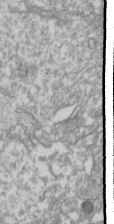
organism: Drosophila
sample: Cell division; meiosis; drosophila spermatocytes